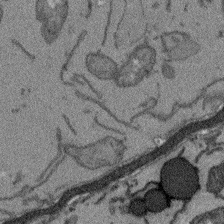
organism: Arabidopsis thaliana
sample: Root tip